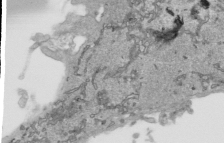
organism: Human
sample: Mitochondria in HCT116 cells